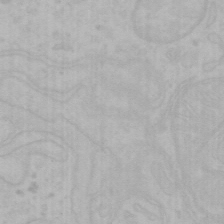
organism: Mouse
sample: Choroid plexus